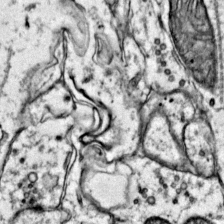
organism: Mouse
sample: Primary visual cortex